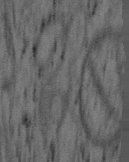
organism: Human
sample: HeLa cells